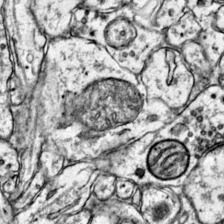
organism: Mouse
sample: Primary visual cortex